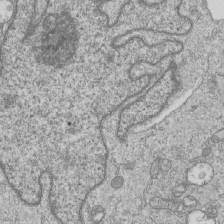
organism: Human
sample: MDA-MB-231 cells